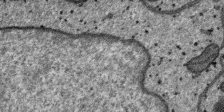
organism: Human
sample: Lung epithelial cells, uninfected (mock) control